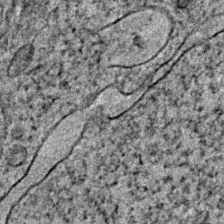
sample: Trachea